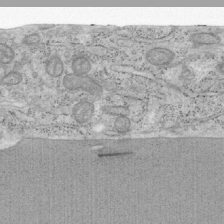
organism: Human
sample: HeLa cells